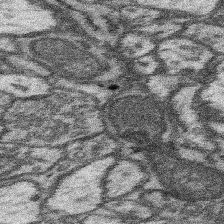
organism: Mouse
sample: Somatosensory cortex neuropil